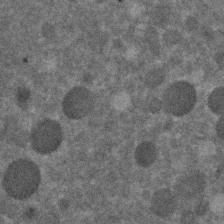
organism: C. elegans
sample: C. elegans embryo